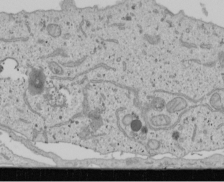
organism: Human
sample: Mitochondria in U2OS cells